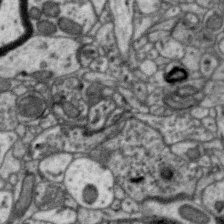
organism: Zebra finch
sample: Brain